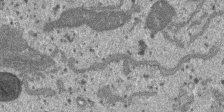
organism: Human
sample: Lung epithelial cells infected with SARS-CoV-2